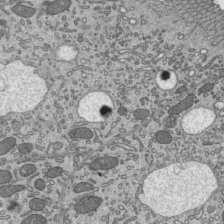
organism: Mouse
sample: Mouse epididymis efferent ductule cilia